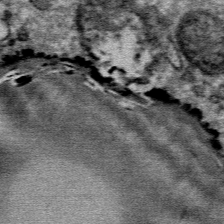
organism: Mouse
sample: Mouse Salivary gland